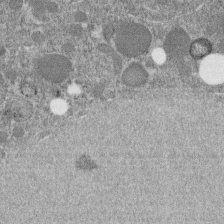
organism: C. elegans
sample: C. elegans embryo early stage